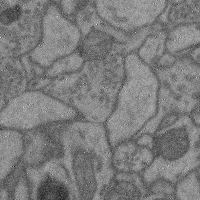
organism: Mouse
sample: Cerebral cortex